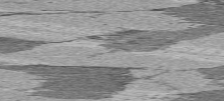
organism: C57BL Mouse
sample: Heart